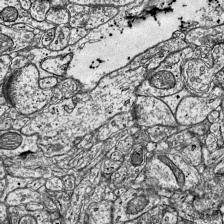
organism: Mouse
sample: Visual Cortex